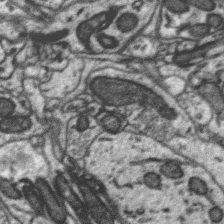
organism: Zebra finch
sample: Brain